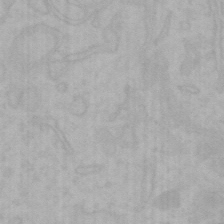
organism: Mouse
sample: Choroid plexus